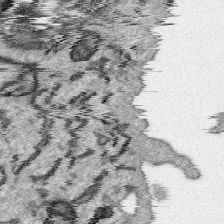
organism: Human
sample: HeLa cells